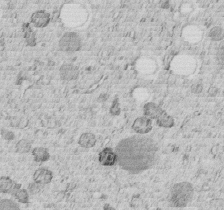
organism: C. elegans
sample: C. elegans embryo early stage